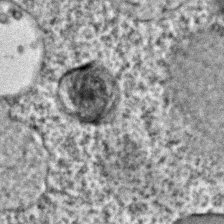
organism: C. elegans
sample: C. elegans embryo